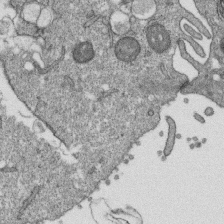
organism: African green monkey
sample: Vero E6 cells infected with SARS-CoV-2